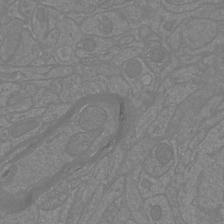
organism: Mouse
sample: Cortical neurons